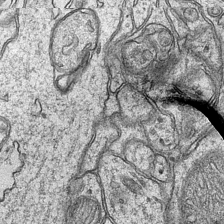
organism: Mouse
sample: CA1 Hippocampus